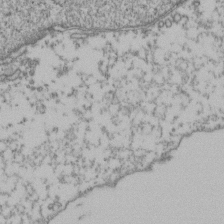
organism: Human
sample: Activated Jurkat CD4+ T cells